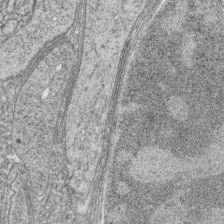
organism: Zebrafish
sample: synaptic ribbons in rod cells and cone cells